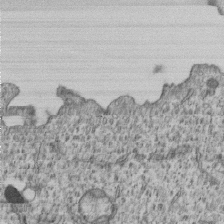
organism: Human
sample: MDA-MB-231 cells